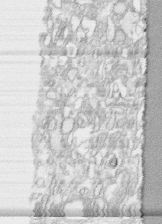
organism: Human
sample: CRL-1474